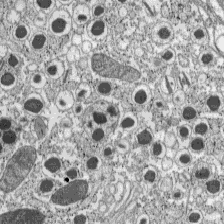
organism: C57BL Mouse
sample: Pancreatic islet